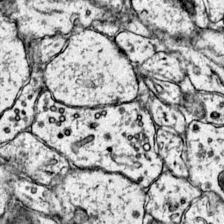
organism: Mouse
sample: Primary visual cortex